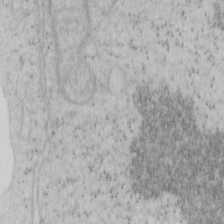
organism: Human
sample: HeLa cells